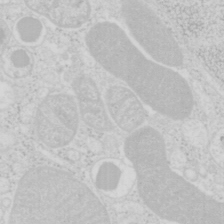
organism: Mouse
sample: Pancreas